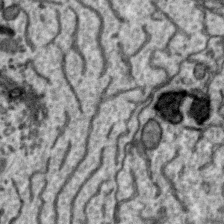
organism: Zebra finch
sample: Brain